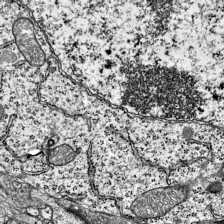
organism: Mouse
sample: Visual Cortex